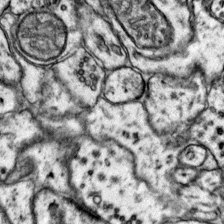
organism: Mouse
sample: Primary visual cortex